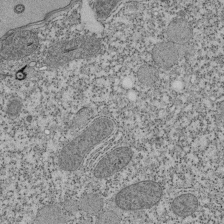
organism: Tetrahymena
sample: Cilia in tetrahymena